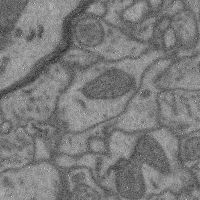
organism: Mouse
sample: Cerebral cortex